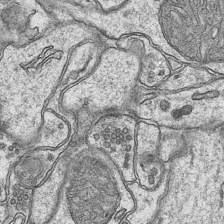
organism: Mouse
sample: CA1 Hippocampus